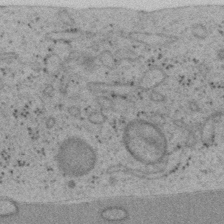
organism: Human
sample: HeLa cells